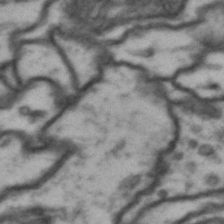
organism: Drosophila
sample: Brain